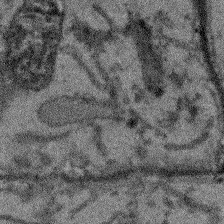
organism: Arabidopsis thaliana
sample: Root tip